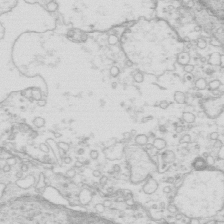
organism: Mouse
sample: Multiciliated cells